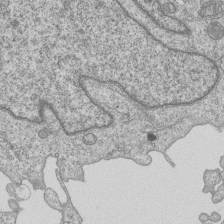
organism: Human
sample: MDA-MB-231 cells